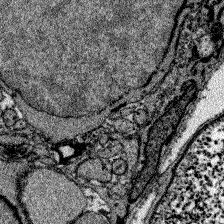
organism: Zebrafish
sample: Larval olfactory bulb